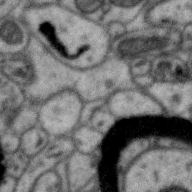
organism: Zebra finch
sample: Brain